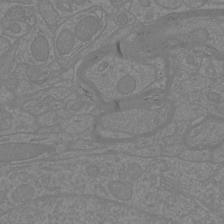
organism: Mouse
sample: Cortical neurons